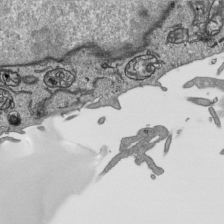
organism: Human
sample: Mitochondria in HCT116 cells